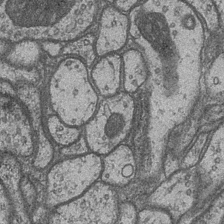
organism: Drosophila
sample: Optic medulla